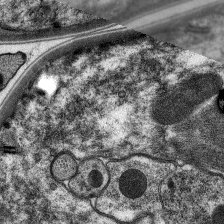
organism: C. elegans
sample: Pharynx